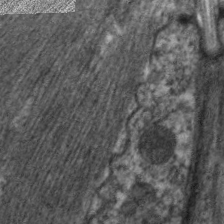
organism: C. elegans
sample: Pharynx